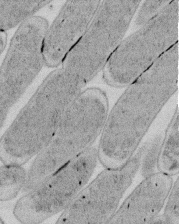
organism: E. coli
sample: Bacterial nucleoid